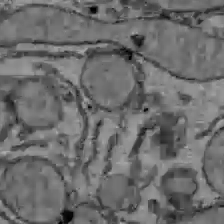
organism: C57BL Mouse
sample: Liver